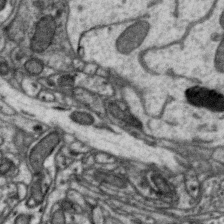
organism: Zebra finch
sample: Brain